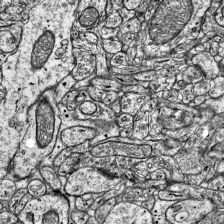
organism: Mouse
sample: Visual Cortex